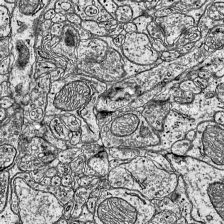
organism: Mouse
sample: Visual Cortex